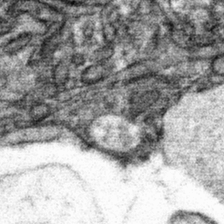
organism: Mouse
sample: Mouse hepatocytes